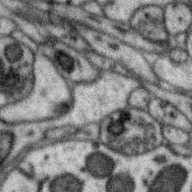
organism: Zebra finch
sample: Brain